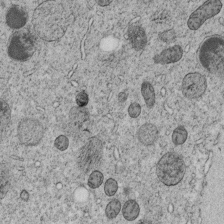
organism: C. elegans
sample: C. elegans embryo early stage